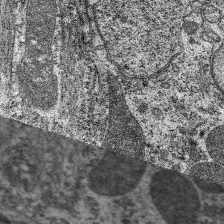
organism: C. elegans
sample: Pharynx